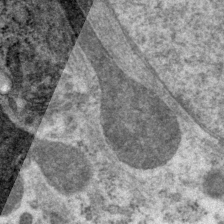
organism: P. pacificus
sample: Pharynx